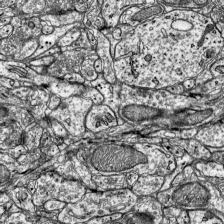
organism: Mouse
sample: Visual Cortex